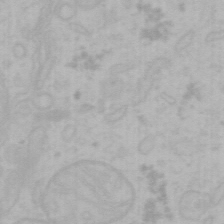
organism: Mouse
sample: Choroid plexus